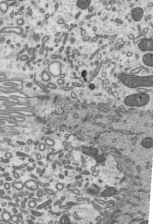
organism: Mouse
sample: Mouse epididymis efferent ductule cilia